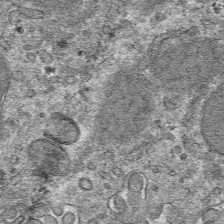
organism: Mouse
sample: Mouse hepatocytes